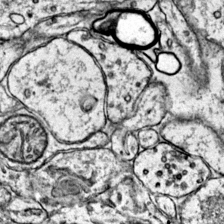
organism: Mouse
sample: Primary visual cortex